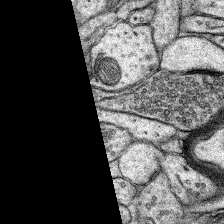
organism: Rat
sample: Hippocampus